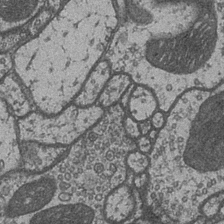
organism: Drosophila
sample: Optic medulla